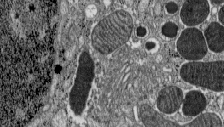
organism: C57BL Mouse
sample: Pancreatic islet